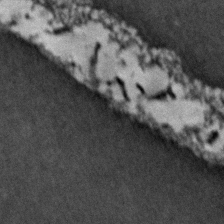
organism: Zebrafish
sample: Zebrafish embryo